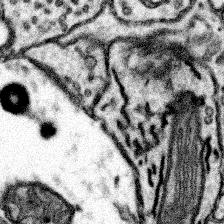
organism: Mouse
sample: Somatosensory cortex neuropil